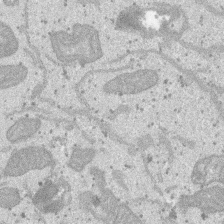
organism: Human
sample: Lung epithelial cells infected with SARS-CoV-2